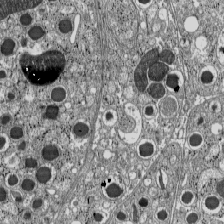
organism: C57BL Mouse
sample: Pancreatic islet